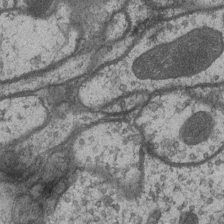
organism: Drosophila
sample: Optic medulla